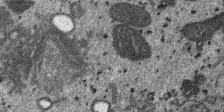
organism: Human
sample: Lung epithelial cells infected with SARS-CoV-2